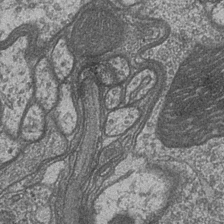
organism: Drosophila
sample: Optic medulla